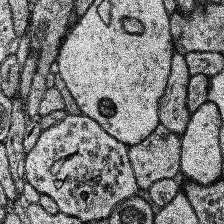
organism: Human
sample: Temporal Lobe